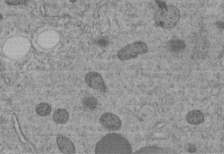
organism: C. elegans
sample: C. elegans embryo early stage